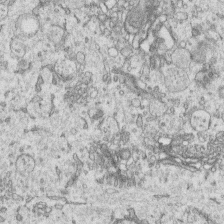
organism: Human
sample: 1205lu cells